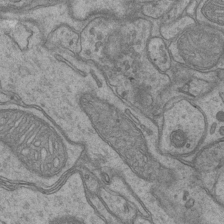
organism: Mouse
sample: CA1 Hippocampus